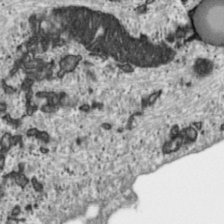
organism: Toxoplasma gondii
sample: Parasites in a vacuole inside a host cell